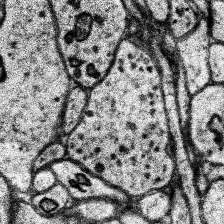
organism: Human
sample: Temporal Lobe